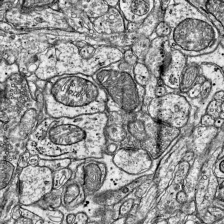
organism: Mouse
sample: Visual Cortex